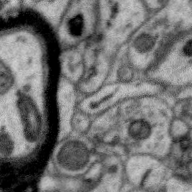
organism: Zebra finch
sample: Brain